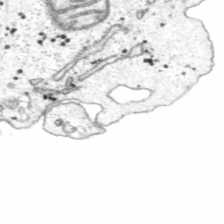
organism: Human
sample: HeLa cells